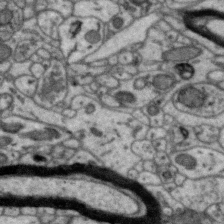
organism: Zebra finch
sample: Brain